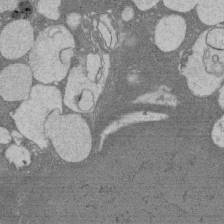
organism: Rat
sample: Salivary granule